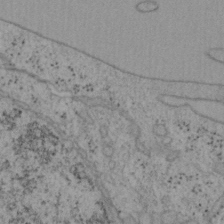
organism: Human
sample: HeLa cells